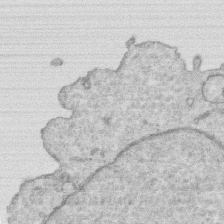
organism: Human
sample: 1205lu cells